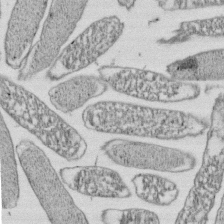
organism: E. coli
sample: Bacterial nucleoid